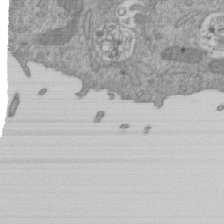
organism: Mouse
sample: ED-1 cell nuclei; centrioles